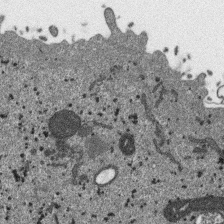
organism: Human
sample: Lung epithelial cells infected with SARS-CoV-2